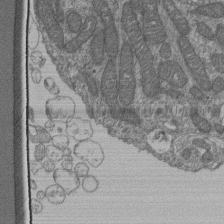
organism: Human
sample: Retinal organoid Rod and Cone cells